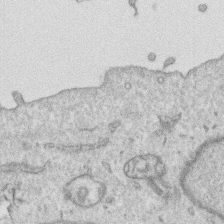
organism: Human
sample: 1205lu cells